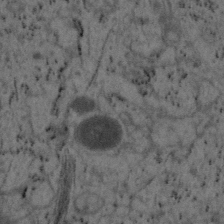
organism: Human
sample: HeLa cells